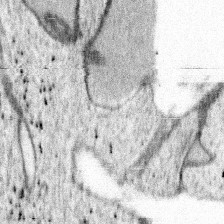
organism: Human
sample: HeLa cells